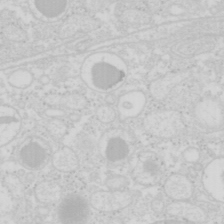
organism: Mouse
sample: Pancreas